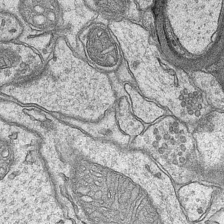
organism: Mouse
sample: CA1 Hippocampus